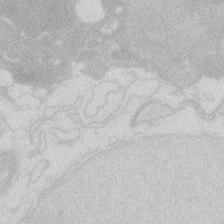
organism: Zebrafish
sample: Macrophage